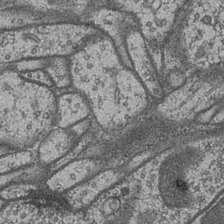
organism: Drosophila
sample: Optic medulla